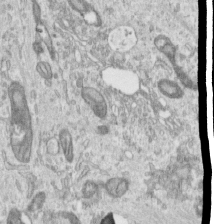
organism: Human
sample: Centriole in RPE cells